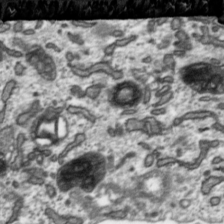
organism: Toxoplasma gondii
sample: Parasites in a vacuole inside a host cell